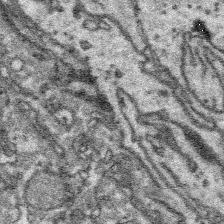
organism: Platynereis dumerilii